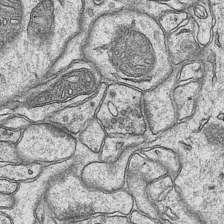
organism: Mouse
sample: CA1 Hippocampus